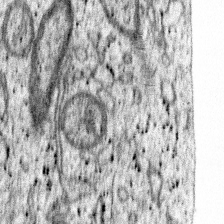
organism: Human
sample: HeLa cells